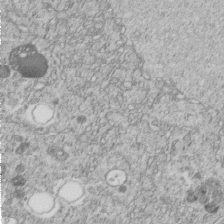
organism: C. elegans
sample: C. elegans embryo early stage